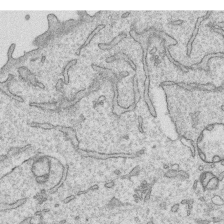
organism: Human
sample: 1205lu cells